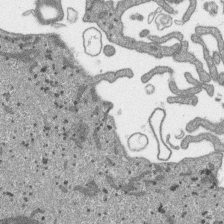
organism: Human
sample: Lung epithelial cells infected with SARS-CoV-2